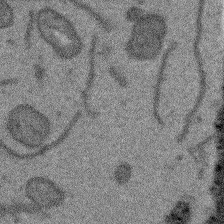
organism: Arabidopsis thaliana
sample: Root tip